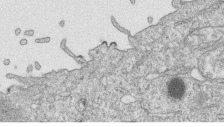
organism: Human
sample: HeLa cell HIV synapse